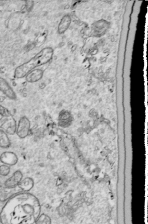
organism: Drosophila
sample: Cell division; meiosis; drosophila spermatocytes